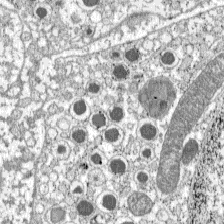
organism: C57BL Mouse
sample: Pancreatic islet